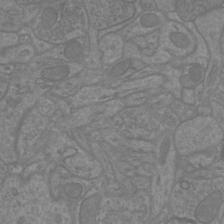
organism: Mouse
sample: Cortical neurons